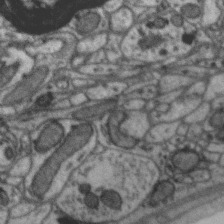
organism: Zebra finch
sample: Brain